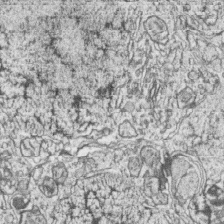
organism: Zebrafish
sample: synaptic ribbons in rod cells and cone cells